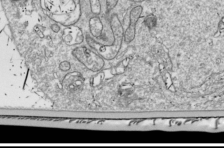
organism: Drosophila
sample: Cell division; meiosis; drosophila spermatocytes